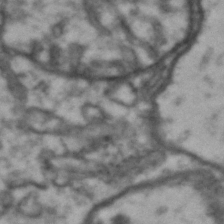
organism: Drosophila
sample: Brain